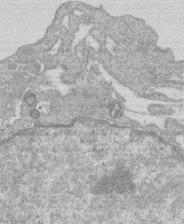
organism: Human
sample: Macrophage cells